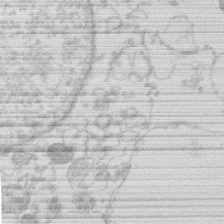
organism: Human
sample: Macrophage cells